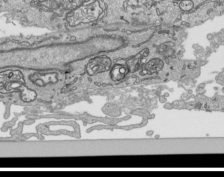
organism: Human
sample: Mitochondria in HCT116 cells